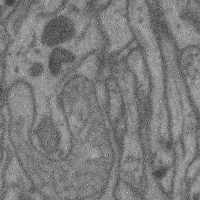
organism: Mouse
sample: Cerebral cortex